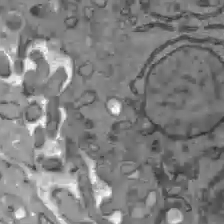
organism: C57BL Mouse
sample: Liver